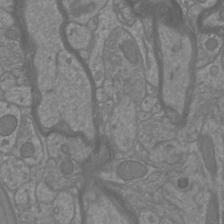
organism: Mouse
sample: Cortical neurons